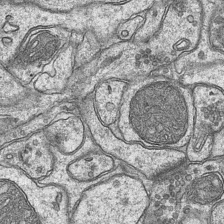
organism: Mouse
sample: CA1 Hippocampus